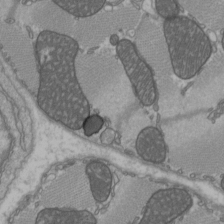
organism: C57BL Mouse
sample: Heart